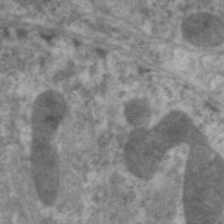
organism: C. elegans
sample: Pharynx